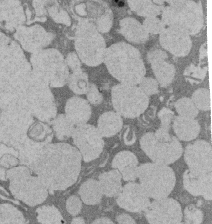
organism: Rat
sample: Salivary granule